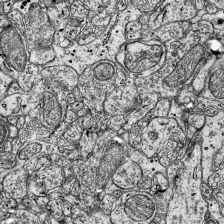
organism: Mouse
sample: Visual Cortex